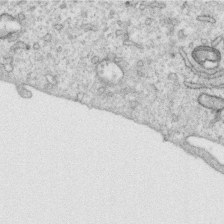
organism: Human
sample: Centriole in RPE cells